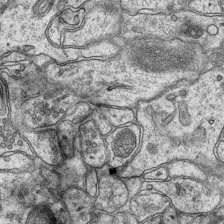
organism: Mouse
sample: CA1 Hippocampus